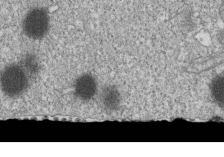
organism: Human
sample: HeLa cell HIV synapse